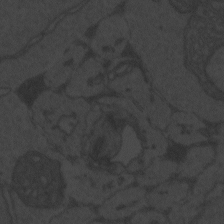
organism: Zebrafish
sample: Macrophage infected with Toxoplasma gondii